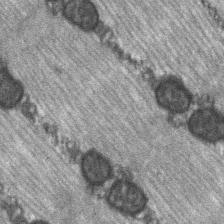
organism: C57BL Mouse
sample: Soleus